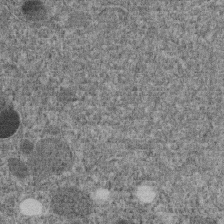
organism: C. elegans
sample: C. elegans embryo early stage